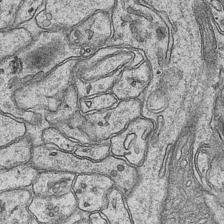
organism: Mouse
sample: CA1 Hippocampus